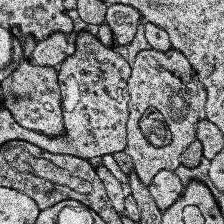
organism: Human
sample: Temporal Lobe